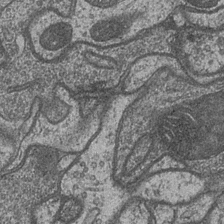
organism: Drosophila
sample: Optic medulla